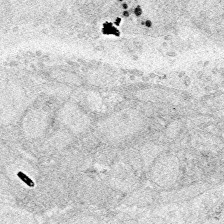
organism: Zebrafish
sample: Whole-Brain